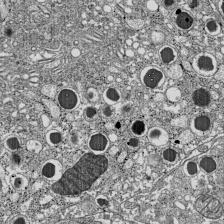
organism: C57BL Mouse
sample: Pancreatic islet